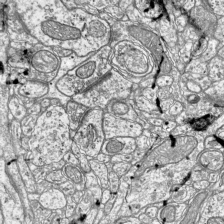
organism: Mouse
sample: Visual Cortex